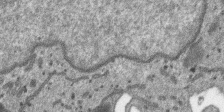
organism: Human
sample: Lung epithelial cells infected with SARS-CoV-2